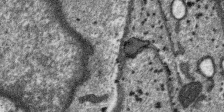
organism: Human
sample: Lung epithelial cells infected with SARS-CoV-2